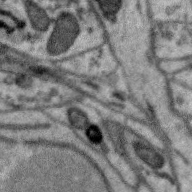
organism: Zebra finch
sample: Brain